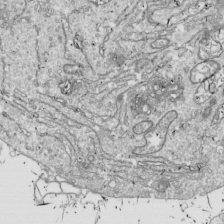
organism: Drosophila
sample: Cell division; meiosis; drosophila spermatocytes